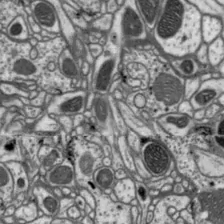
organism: Drosophila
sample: Protocerebral bridge